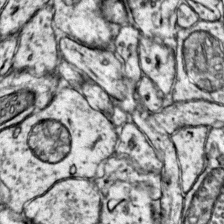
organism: Mouse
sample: Primary visual cortex